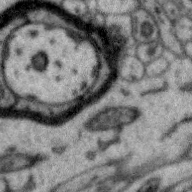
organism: Zebra finch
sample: Brain